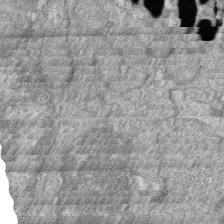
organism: Zebrafish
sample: Cilia; retinal pigment epithelium